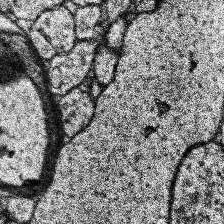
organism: Human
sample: Temporal Lobe